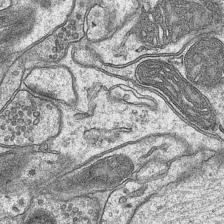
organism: Mouse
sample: CA1 Hippocampus